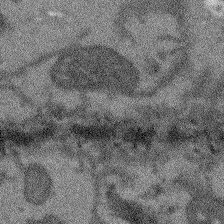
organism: Arabidopsis thaliana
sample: Root tip